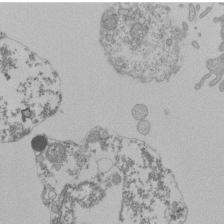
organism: Mouse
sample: Activated Pmel transgenic CD8+ T Cells